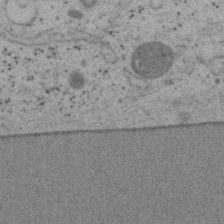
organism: Human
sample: HeLa cells